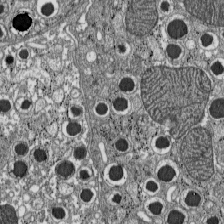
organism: C57BL Mouse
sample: Pancreatic islet